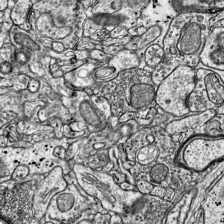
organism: Mouse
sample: Visual Cortex